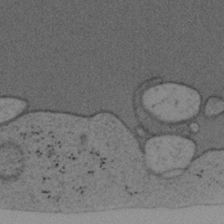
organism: Human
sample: HeLa cells